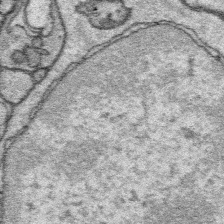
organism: Platynereis dumerilii